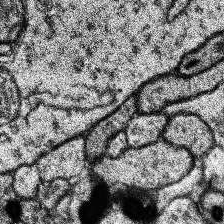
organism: Human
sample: Temporal Lobe